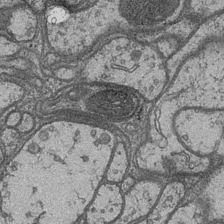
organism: Drosophila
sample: Optic medulla